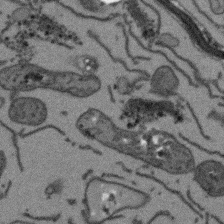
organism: Arabidopsis thaliana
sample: Root tip